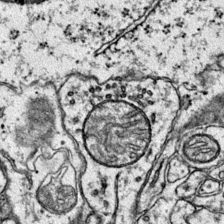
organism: Mouse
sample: Primary visual cortex